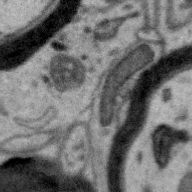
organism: Zebra finch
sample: Brain